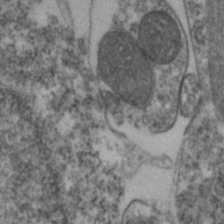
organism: Zebrafish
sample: Zebrafish embryo